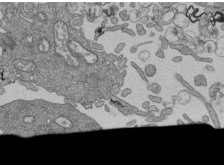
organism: Human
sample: Retinal organoid Rod and Cone cells